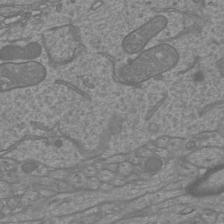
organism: Mouse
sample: Cortical neurons